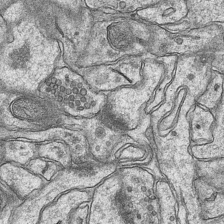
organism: Mouse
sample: CA1 Hippocampus